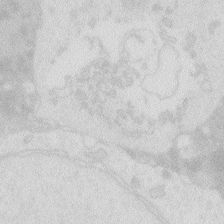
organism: Zebrafish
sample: Macrophage